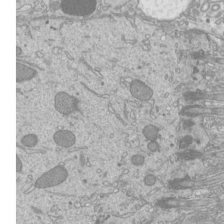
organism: Mouse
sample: Cilia; mouse epididymis